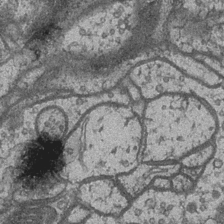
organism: Drosophila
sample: Optic medulla